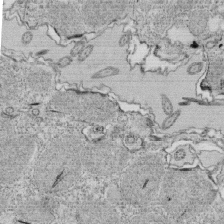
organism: Tetrahymena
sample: Cilia in tetrahymena